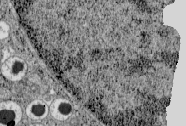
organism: C57BL Mouse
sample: Pancreatic islet